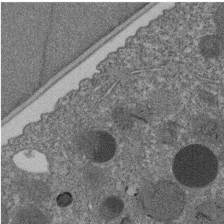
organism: C. elegans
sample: C. elegans embryo early stage